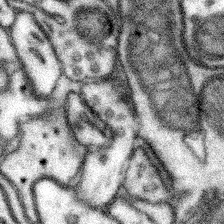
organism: Mouse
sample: Somatosensory cortex neuropil